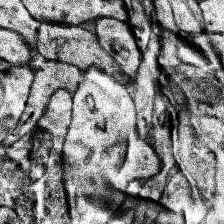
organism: Human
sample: Temporal Lobe